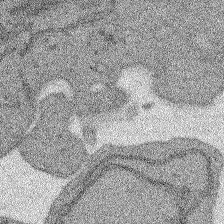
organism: Human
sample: HeLa cells